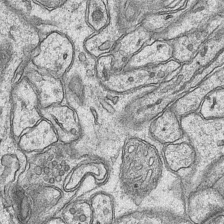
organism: Mouse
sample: CA1 Hippocampus